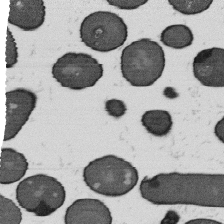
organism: B. subtilis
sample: Bacterial spore